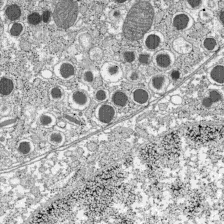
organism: C57BL Mouse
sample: Pancreatic islet